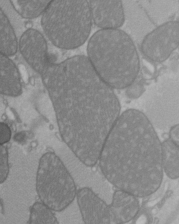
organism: C57BL Mouse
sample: Heart